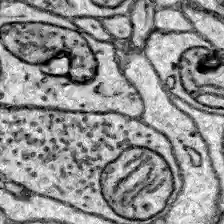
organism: Zebrafish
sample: Brain